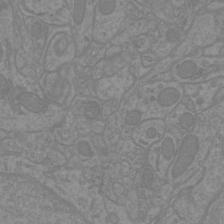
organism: Mouse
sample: Cortical neurons